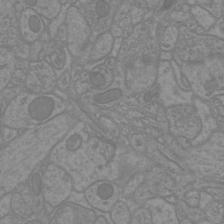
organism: Mouse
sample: Cortical neurons